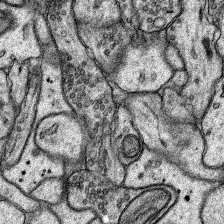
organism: Rat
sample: Hippocampus